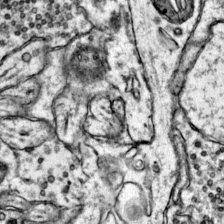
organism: Mouse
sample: Primary visual cortex